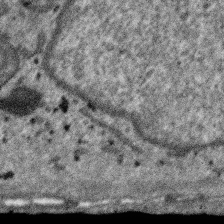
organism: Human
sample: Lung epithelial cells infected with SARS-CoV-2